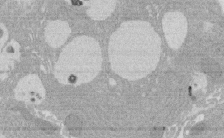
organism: Rat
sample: Salivary granule